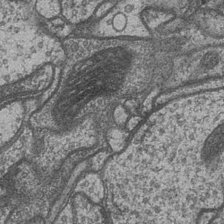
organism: Drosophila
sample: Optic medulla